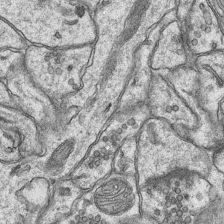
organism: Mouse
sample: CA1 Hippocampus